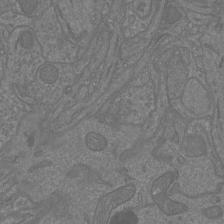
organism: Mouse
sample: Cortical neurons